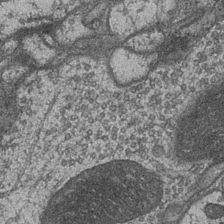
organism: Drosophila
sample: Optic medulla